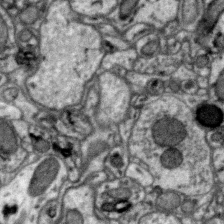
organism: Zebra finch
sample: Brain